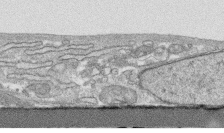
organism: Human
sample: CRL-1474